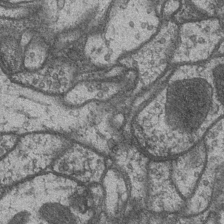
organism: Drosophila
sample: Optic medulla